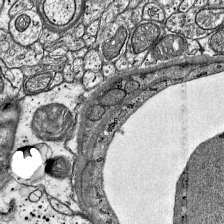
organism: Mouse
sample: Visual Cortex